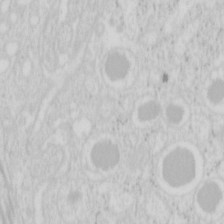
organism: Mouse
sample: Pancreas